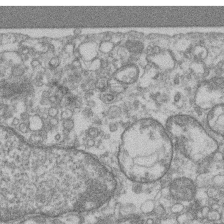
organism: Mouse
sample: T cell stromal cell synapse